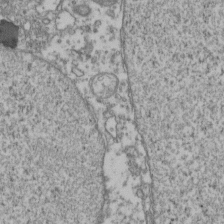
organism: Human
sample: Activated Jurkat CD4+ T cells